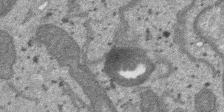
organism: Human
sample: Lung epithelial cells infected with SARS-CoV-2